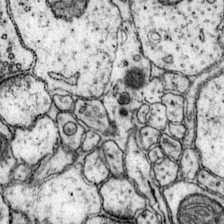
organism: Mouse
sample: Primary visual cortex